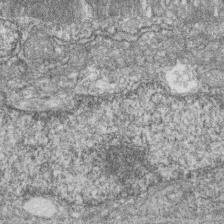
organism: Zebrafish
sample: Cilia; retinal pigment epithelium